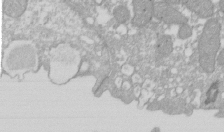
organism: Xenopus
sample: Cilia; centrioles in frog embryo cells